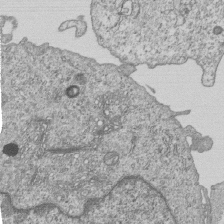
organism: Human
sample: MDA-MB-231 cells